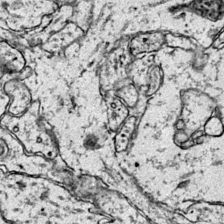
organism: Mouse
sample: Primary visual cortex